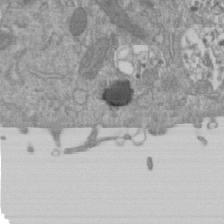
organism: Mouse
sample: ED-1 cell nuclei; centrioles